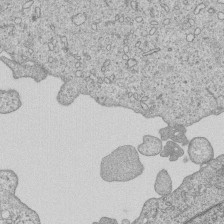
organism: Human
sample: MDA-MB-231 cells